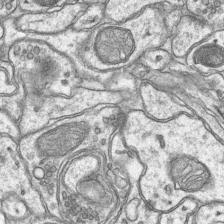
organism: Mouse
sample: CA1 Hippocampus